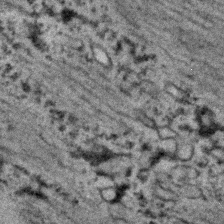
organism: C. elegans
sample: C. elegans embryo